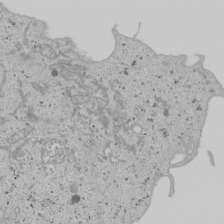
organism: Human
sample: Mitochondria in U2OS cells